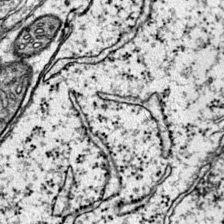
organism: Mouse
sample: Primary visual cortex